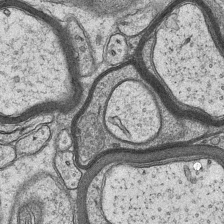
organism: Mouse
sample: CA1 Hippocampus